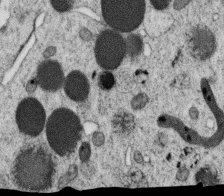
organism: C. elegans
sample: C. elegans oocyte; sperm cells